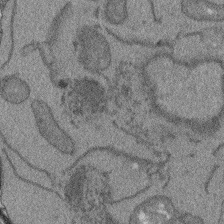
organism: Arabidopsis thaliana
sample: Root tip